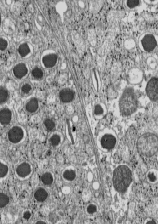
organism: C57BL Mouse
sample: Pancreatic islet